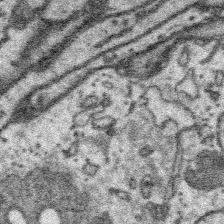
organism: Platynereis dumerilii